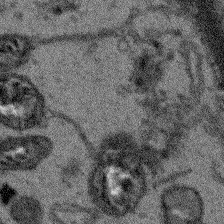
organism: Arabidopsis thaliana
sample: Root tip